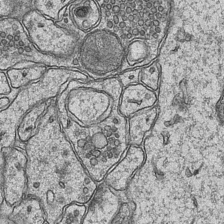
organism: Mouse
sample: CA1 Hippocampus